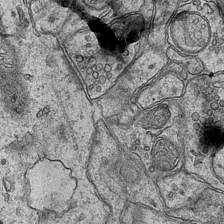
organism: Mouse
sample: CA1 Hippocampus